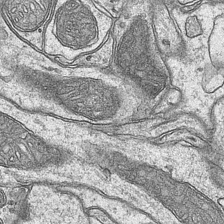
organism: Mouse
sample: CA1 Hippocampus